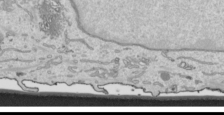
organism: Human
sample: Mitochondria in HCT116 cells